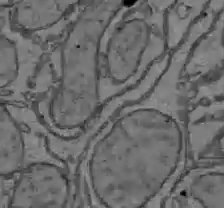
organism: C57BL Mouse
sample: Liver